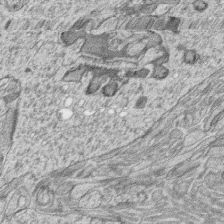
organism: Zebrafish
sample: synaptic ribbons in rod cells and cone cells